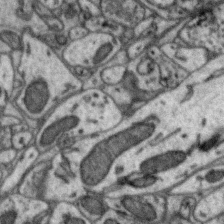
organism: Zebra finch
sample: Brain